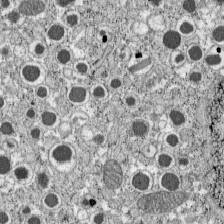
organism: C57BL Mouse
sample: Pancreatic islet